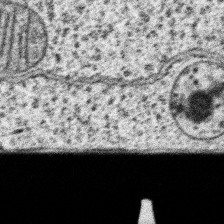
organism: Human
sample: HeLa cells